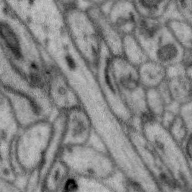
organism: Zebra finch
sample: Brain